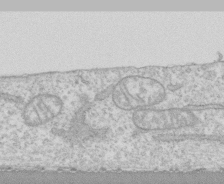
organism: Human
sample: CRL-1474